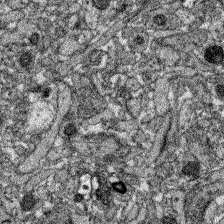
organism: Zebrafish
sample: Larval olfactory bulb